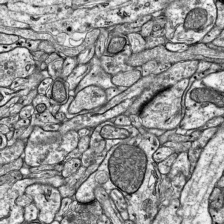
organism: Mouse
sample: Visual Cortex